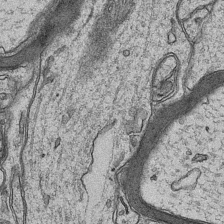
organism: Mouse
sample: CA1 Hippocampus